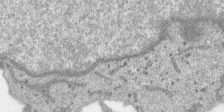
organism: Human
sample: Lung epithelial cells infected with SARS-CoV-2